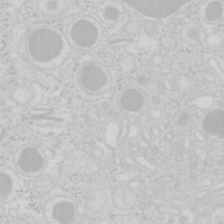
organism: Mouse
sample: Pancreas